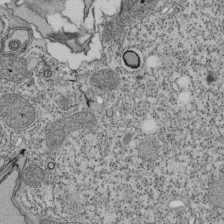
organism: Tetrahymena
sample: Cilia in tetrahymena